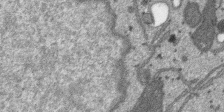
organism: Human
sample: Lung epithelial cells infected with SARS-CoV-2